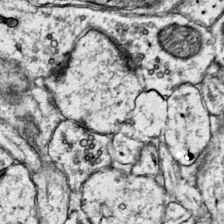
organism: Mouse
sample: Primary visual cortex